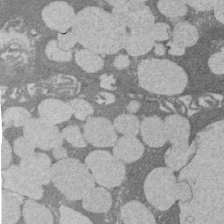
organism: Rat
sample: Salivary granule